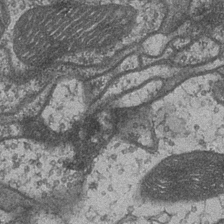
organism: Drosophila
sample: Optic medulla